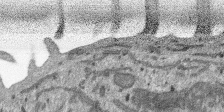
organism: Human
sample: Lung epithelial cells infected with SARS-CoV-2